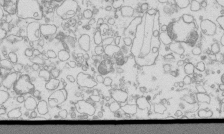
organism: Mouse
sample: Macrophages